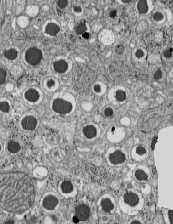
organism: C57BL Mouse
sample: Pancreatic islet